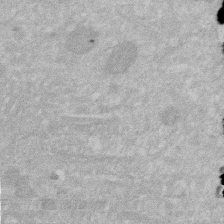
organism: Human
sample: HIV infected U937 cells